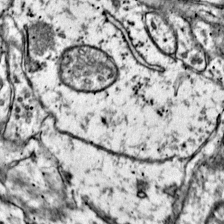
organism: Mouse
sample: Primary visual cortex